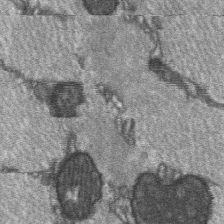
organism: C57BL Mouse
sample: Soleus